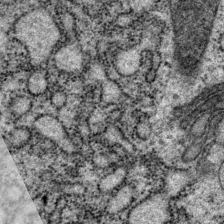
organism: P. pacificus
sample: Pharynx